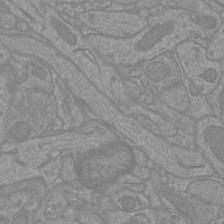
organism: Mouse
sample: Cortical neurons